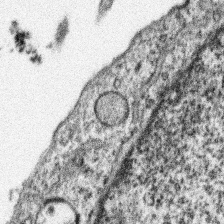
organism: Human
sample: HeLa cells